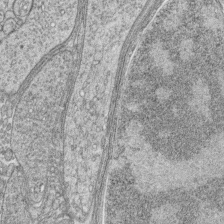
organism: Zebrafish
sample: synaptic ribbons in rod cells and cone cells